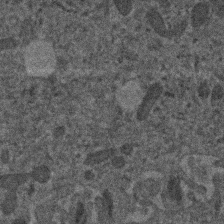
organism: Human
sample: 1205lu cells